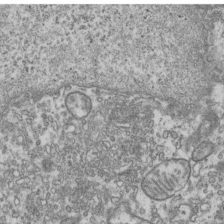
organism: Human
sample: Activated Jurkat CD4+ T cells